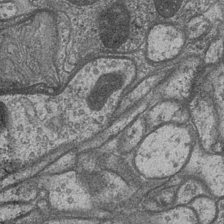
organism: Drosophila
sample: Optic medulla